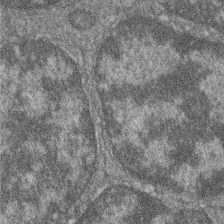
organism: Zebrafish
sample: Cilia; retinal pigment epithelium